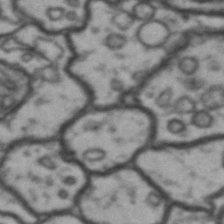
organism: Drosophila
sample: Brain